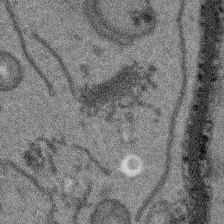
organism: Arabidopsis thaliana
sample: Root tip